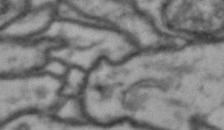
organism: Drosophila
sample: Brain